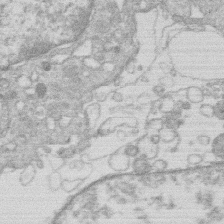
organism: Human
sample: Macrophage cells